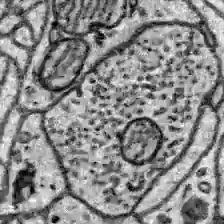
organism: Zebrafish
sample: Brain